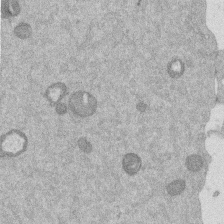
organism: Mouse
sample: Dividing mouse embryo 1 cell stage